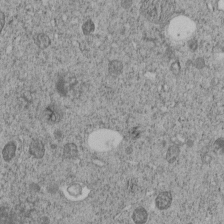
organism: C. elegans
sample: C. elegans embryo early stage